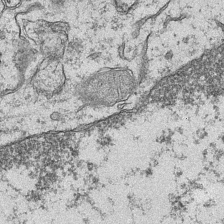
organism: Mouse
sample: CA1 Hippocampus